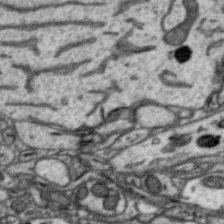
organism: Zebra finch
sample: Brain